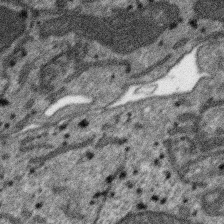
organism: Human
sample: Lung epithelial cells infected with SARS-CoV-2